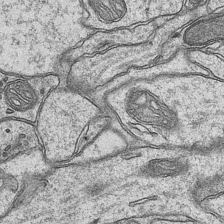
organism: Mouse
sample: CA1 Hippocampus